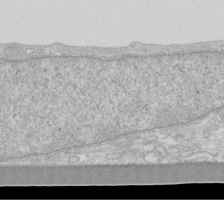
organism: Human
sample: Fibroblast cells